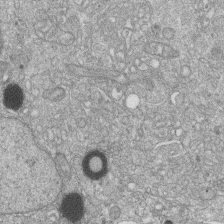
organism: Human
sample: HeLa cell HIV synapse